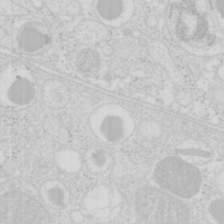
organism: Mouse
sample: Pancreas